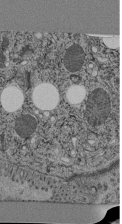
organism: C. elegans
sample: C. elegans pharynx